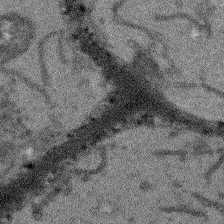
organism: Arabidopsis thaliana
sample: Root tip